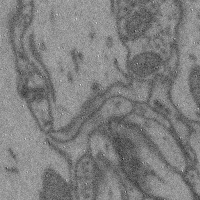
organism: Mouse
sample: Cerebral cortex